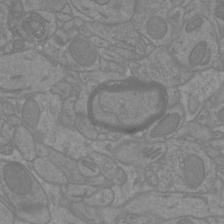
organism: Mouse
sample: Cortical neurons